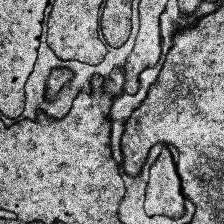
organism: Human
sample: Temporal Lobe